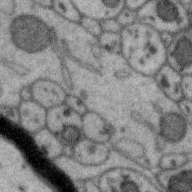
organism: Zebra finch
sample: Brain